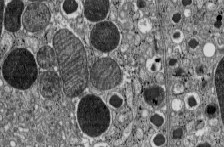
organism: C57BL Mouse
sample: Pancreatic islet